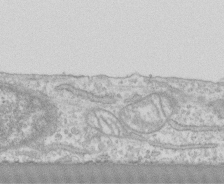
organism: Human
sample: CRL-1474